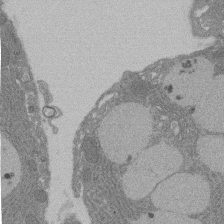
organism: Rat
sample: Salivary granule